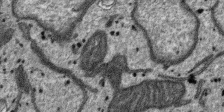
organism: Human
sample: Lung epithelial cells, uninfected (mock) control